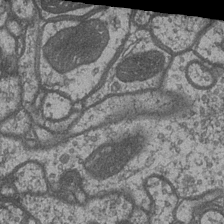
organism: Drosophila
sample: Optic medulla